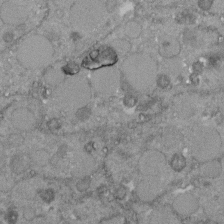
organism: C. elegans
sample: C. elegans embryo early stage